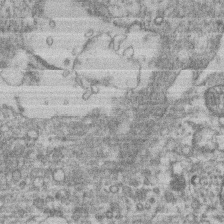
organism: Mouse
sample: T cell stromal cell synapse